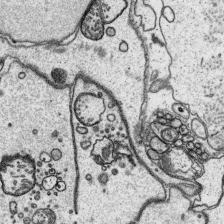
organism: Platynereis dumerilii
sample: Parapodia